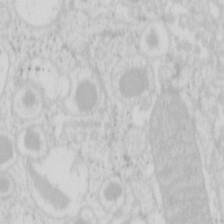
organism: Mouse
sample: Pancreas